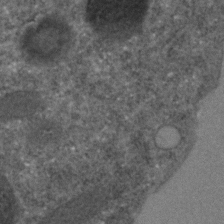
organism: C. elegans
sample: C. elegans embryo